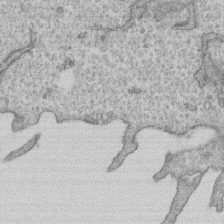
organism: Human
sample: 1205lu cells